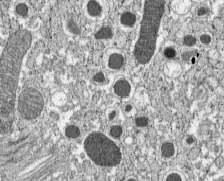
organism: C57BL Mouse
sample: Pancreatic islet